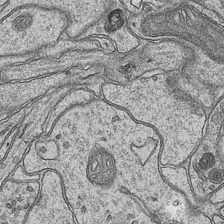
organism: Mouse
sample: CA1 Hippocampus